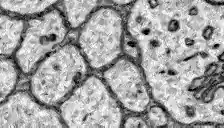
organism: Zebrafish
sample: Brain